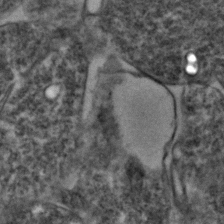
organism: Zebrafish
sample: Zebrafish embryo